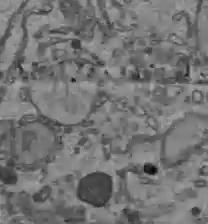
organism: C57BL Mouse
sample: Liver